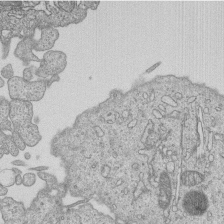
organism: Human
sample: MDA-MB-231 cells